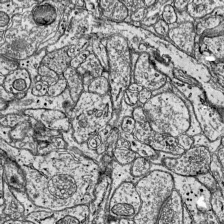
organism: Mouse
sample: Visual Cortex